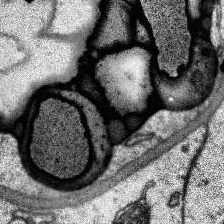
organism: Human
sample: Temporal Lobe